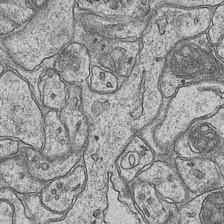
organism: Mouse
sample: CA1 Hippocampus